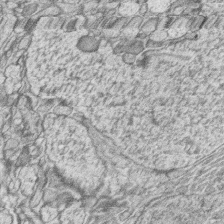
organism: Zebrafish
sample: synaptic ribbons in rod cells and cone cells